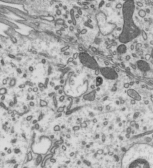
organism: Mouse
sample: Mouse epididymis efferent ductule cilia